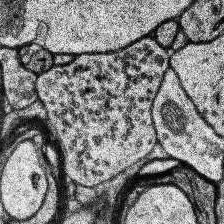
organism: Human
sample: Temporal Lobe